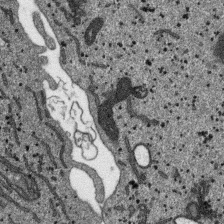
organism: Human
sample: Lung epithelial cells infected with SARS-CoV-2